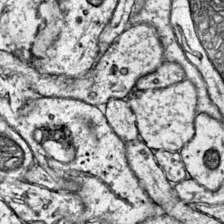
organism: Mouse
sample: Primary visual cortex